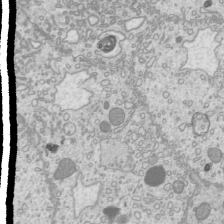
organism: Mouse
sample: Cilia; mouse epididymis